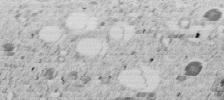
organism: C. elegans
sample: C. elegans embryo early stage